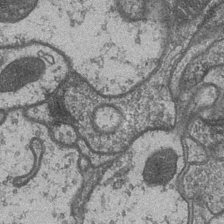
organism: Drosophila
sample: Optic medulla